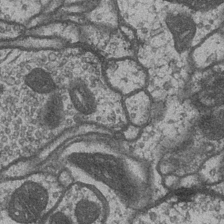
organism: Drosophila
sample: Optic medulla